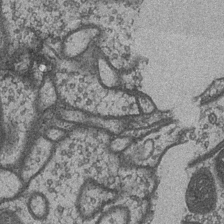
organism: Drosophila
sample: Optic medulla